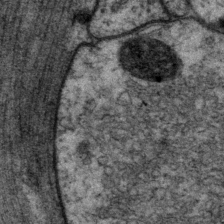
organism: P. pacificus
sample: Pharynx